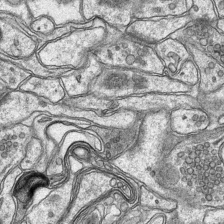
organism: Mouse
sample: CA1 Hippocampus